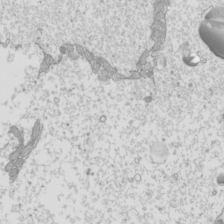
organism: Mouse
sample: Cilia; mouse epididymis